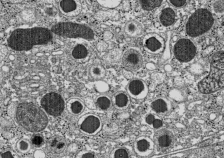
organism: C57BL Mouse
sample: Pancreatic islet